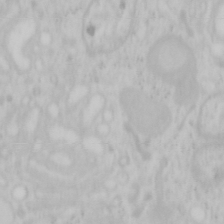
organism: Mouse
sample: OT-I killer T cells with ID8 ovarian cancer cells